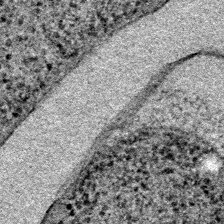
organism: E. coli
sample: E. Coli Bacteria